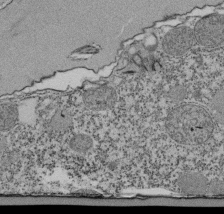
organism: Tetrahymena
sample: Cilia in tetrahymena